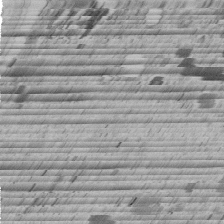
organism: C. elegans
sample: C. elegans embryo early stage